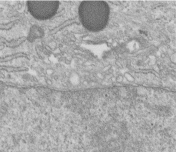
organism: Human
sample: Centriole in fibroblast cells